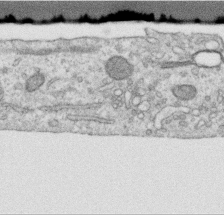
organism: Human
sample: Centriole in RPE cells